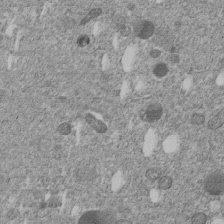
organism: C. elegans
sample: C. elegans embryo early stage